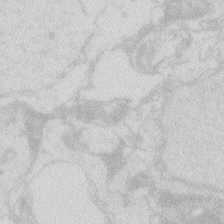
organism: Zebrafish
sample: Macrophage